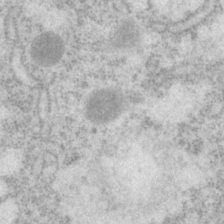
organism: P. pacificus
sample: Pharynx